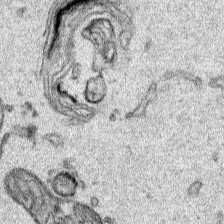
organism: Human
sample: Mitochondria in HCT116 cells